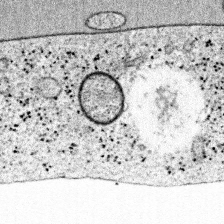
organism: Human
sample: HeLa cells